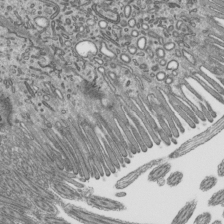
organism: Mouse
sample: Mouse epididymis efferent ductule cilia